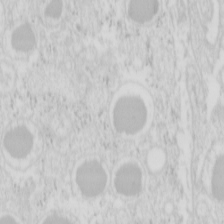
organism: Mouse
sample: Pancreas